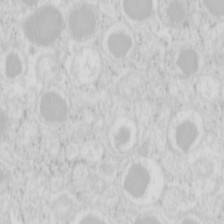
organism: Mouse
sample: Pancreas